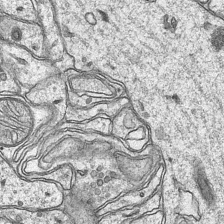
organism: Mouse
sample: CA1 Hippocampus